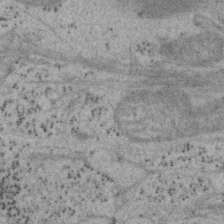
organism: Human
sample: HeLa cells